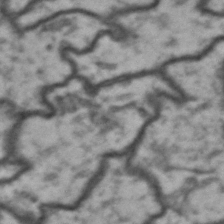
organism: Drosophila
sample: Brain